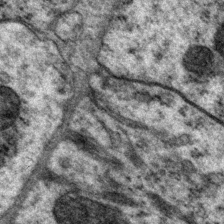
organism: P. pacificus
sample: Pharynx